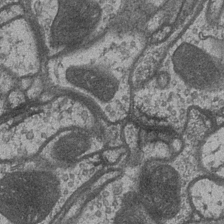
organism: Drosophila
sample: Optic medulla